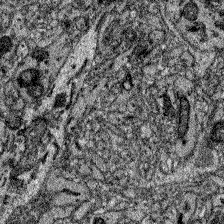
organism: Zebrafish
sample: Larval olfactory bulb